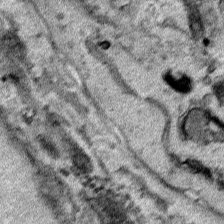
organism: Human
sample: Mitochondria in HCT116 cells